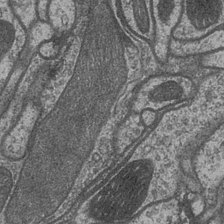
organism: Drosophila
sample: Optic medulla